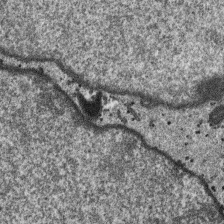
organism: Human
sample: Lung epithelial cells infected with SARS-CoV-2